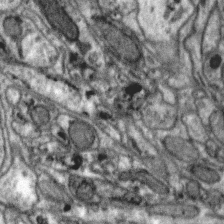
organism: Zebra finch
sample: Brain